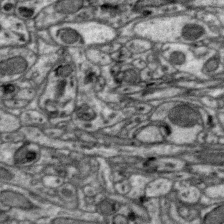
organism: Zebra finch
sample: Brain